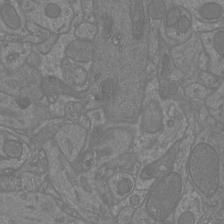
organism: Mouse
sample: Cortical neurons